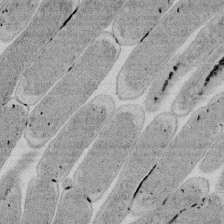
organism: E. coli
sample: Bacterial nucleoid